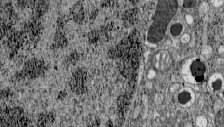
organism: C57BL Mouse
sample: Pancreatic islet